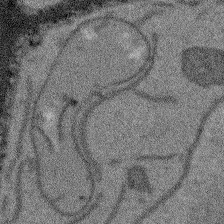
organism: Arabidopsis thaliana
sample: Root tip